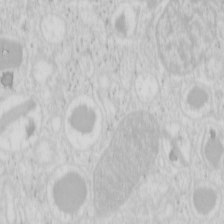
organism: Mouse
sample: Pancreas